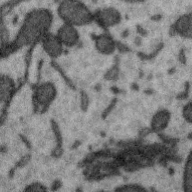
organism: Zebra finch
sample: Brain